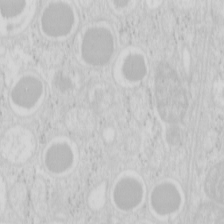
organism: Mouse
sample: Pancreas